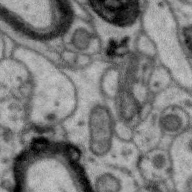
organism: Zebra finch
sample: Brain